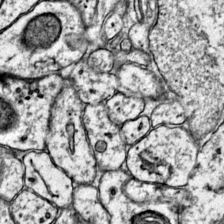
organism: Mouse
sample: Primary visual cortex